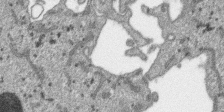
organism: Human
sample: Lung epithelial cells infected with SARS-CoV-2